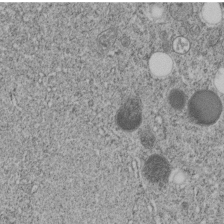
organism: C. elegans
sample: C. elegans embryo early stage